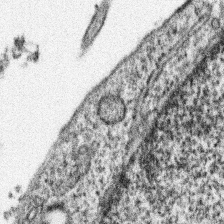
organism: Human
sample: HeLa cells